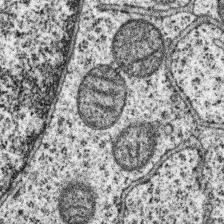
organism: Human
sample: HeLa cells